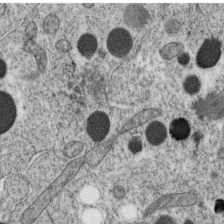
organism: C. elegans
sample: C. elegans oocyte; sperm cells